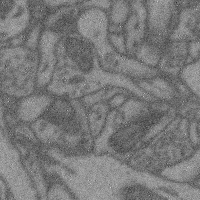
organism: Mouse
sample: Cerebral cortex